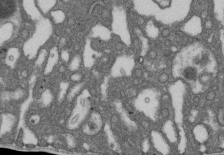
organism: Drosophila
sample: Nephrocyte